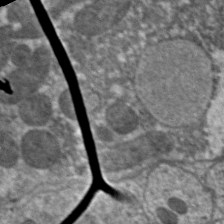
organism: C. elegans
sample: Pharynx